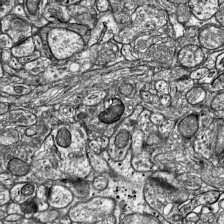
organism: Mouse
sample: Visual Cortex